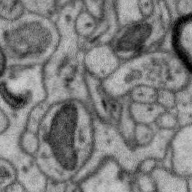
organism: Zebra finch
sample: Brain